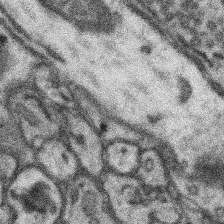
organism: Mouse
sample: Somatosensory cortex neuropil